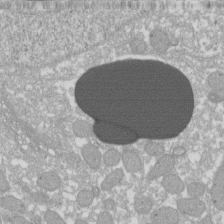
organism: Xenopus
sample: Cilia; centrioles in frog embryo cells